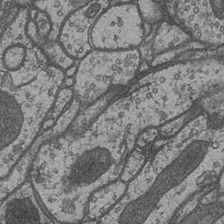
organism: Drosophila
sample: Optic medulla